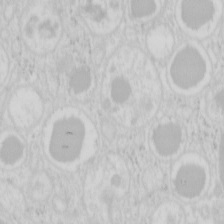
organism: Mouse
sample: Pancreas